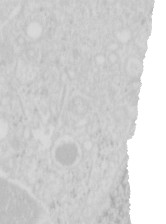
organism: Mouse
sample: Pancreas